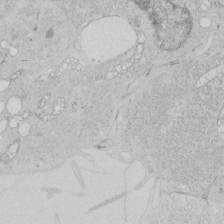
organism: Human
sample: Mitochondria in HCT116 cells